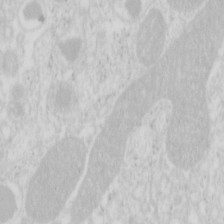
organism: Mouse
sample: Pancreas